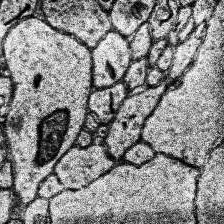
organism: Human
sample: Temporal Lobe